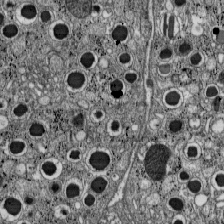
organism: C57BL Mouse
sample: Pancreatic islet